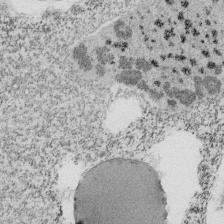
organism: Tetrahymena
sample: Cilia in tetrahymena